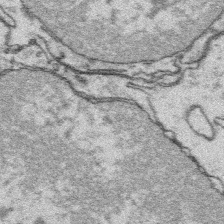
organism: Platynereis dumerilii